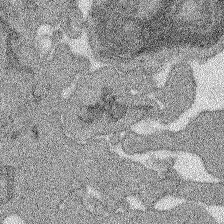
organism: Human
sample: HeLa cells